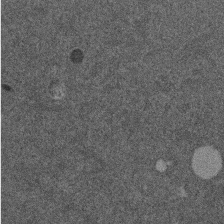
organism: Mouse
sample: Dividing mouse embryo 1 cell stage